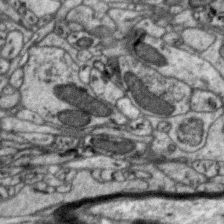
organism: Zebra finch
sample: Brain